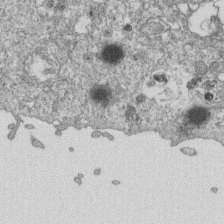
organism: Human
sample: HeLa cell HIV synapse